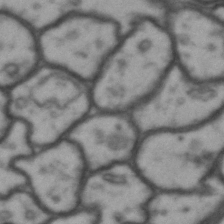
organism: Drosophila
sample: Brain